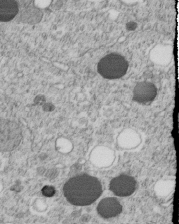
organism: C. elegans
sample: C. elegans embryo early stage